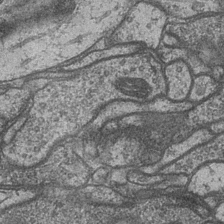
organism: Drosophila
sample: Optic medulla